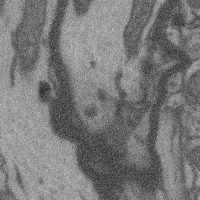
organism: Mouse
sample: Cerebral cortex